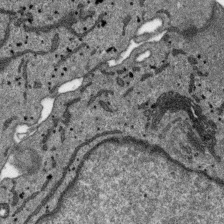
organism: Human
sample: Lung epithelial cells, uninfected (mock) control